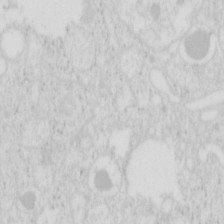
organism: Mouse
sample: Pancreas